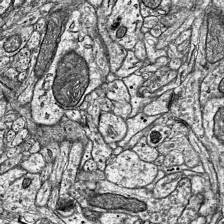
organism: Mouse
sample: Visual Cortex